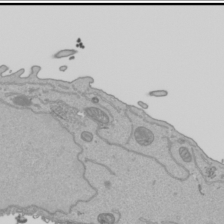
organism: Human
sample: Mitochondria in HCT116 cells